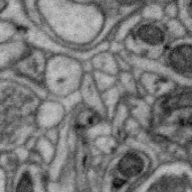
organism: Zebra finch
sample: Brain